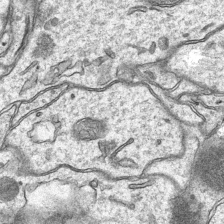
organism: Mouse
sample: CA1 Hippocampus